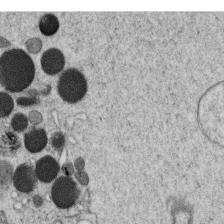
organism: C. elegans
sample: C. elegans oocyte; sperm cells